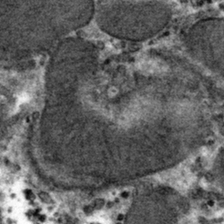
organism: Mouse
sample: Mouse hepatocytes